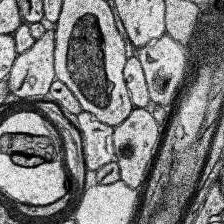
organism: Human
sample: Temporal Lobe